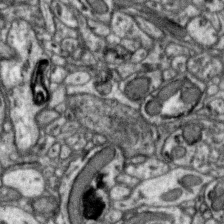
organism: Zebra finch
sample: Brain